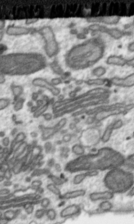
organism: Toxoplasma gondii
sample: Parasites in a vacuole inside a host cell